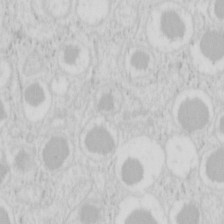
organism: Mouse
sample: Pancreas